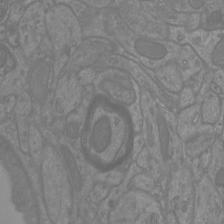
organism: Mouse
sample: Cortical neurons